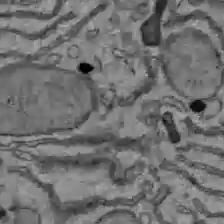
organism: C57BL Mouse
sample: Liver